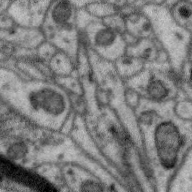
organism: Zebra finch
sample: Brain